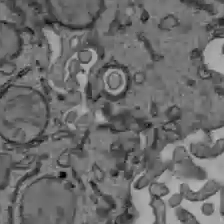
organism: C57BL Mouse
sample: Liver